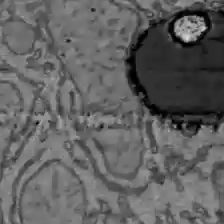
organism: C57BL Mouse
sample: Liver